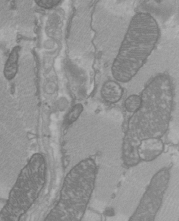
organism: C57BL Mouse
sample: Heart